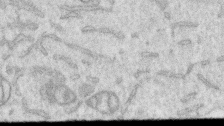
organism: Human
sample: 1205lu cells